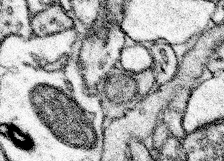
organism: Mouse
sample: Somatosensory cortex neuropil